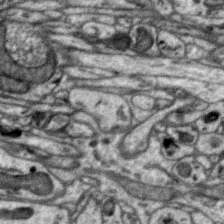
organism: Zebra finch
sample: Brain